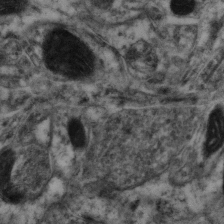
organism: Mouse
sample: Neocortex